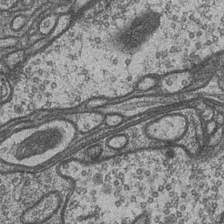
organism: Drosophila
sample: Optic medulla